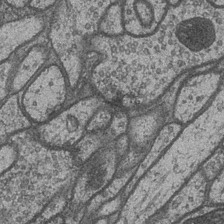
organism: Drosophila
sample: Optic medulla